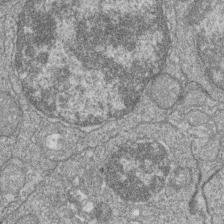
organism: Zebrafish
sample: Cilia; retinal pigment epithelium